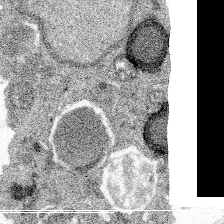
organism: Spongilla lacustris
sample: Multiple